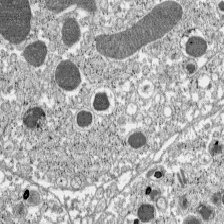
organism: C57BL Mouse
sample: Pancreatic islet